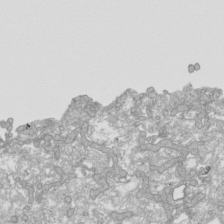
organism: Human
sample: Mitochondria in HCT116 cells